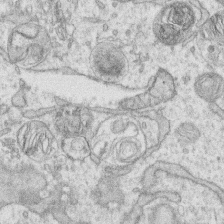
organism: Human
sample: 1205lu cells